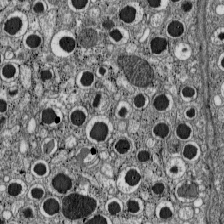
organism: C57BL Mouse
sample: Pancreatic islet